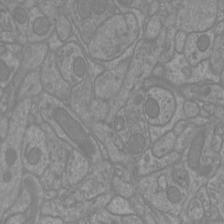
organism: Mouse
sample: Cortical neurons